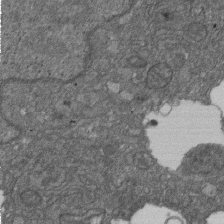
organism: Drosophila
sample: Nephrocyte